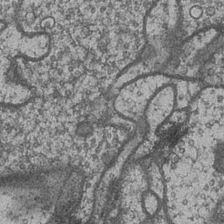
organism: Drosophila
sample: Optic medulla